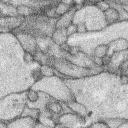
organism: Rabbit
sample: Retina